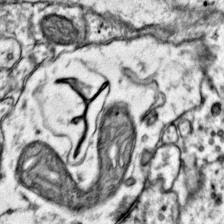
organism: Mouse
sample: Primary visual cortex